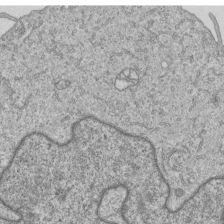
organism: Human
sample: MDA-MB-231 cells